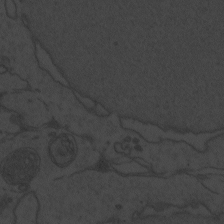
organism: Zebrafish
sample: Macrophage infected with Toxoplasma gondii